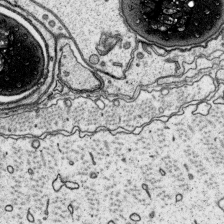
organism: Platynereis dumerilii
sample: Parapodia